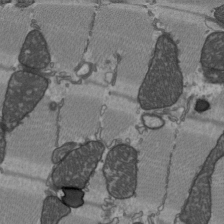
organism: C57BL Mouse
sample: Heart